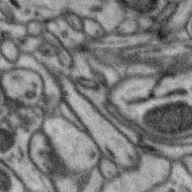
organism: Zebra finch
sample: Brain